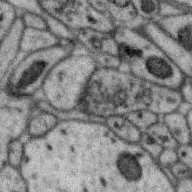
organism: Zebra finch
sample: Brain